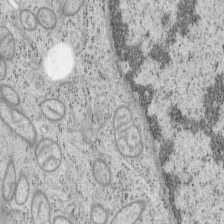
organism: Mouse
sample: OT-I killer T cells with ID8 ovarian cancer cells